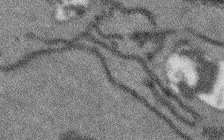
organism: Arabidopsis thaliana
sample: Root tip